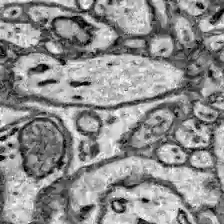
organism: Zebrafish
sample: Brain